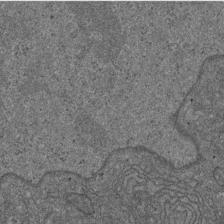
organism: Drosophila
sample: Nephrocyte